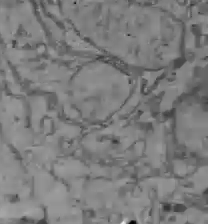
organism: C57BL Mouse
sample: Liver